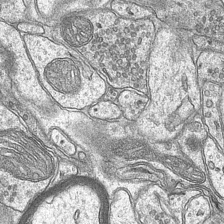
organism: Mouse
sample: CA1 Hippocampus